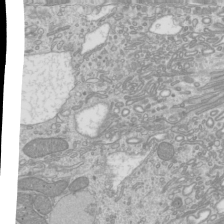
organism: Mouse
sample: Cilia; mouse epididymis